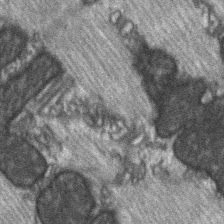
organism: C57BL Mouse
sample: Soleus